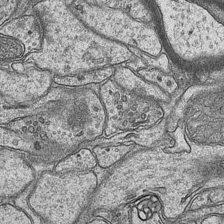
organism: Mouse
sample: CA1 Hippocampus